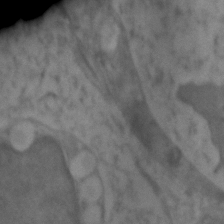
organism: Zebrafish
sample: Zebrafish embryo